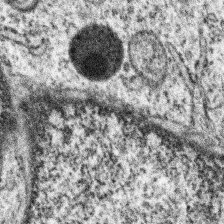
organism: Human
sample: HeLa cells